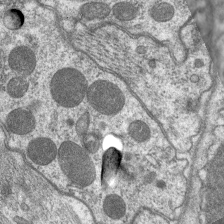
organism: C. elegans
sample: Pharynx